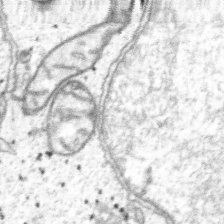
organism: Human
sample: HeLa cells